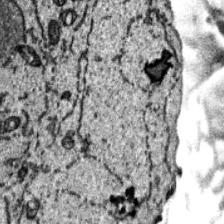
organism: Human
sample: HeLa cells